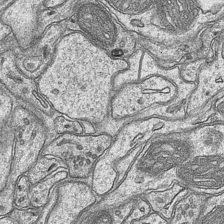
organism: Mouse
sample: CA1 Hippocampus